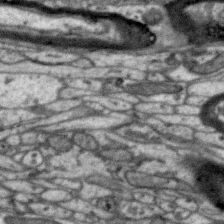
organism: Zebra finch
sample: Brain